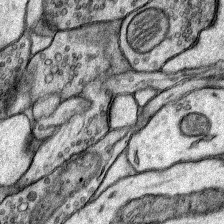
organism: Rat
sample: Hippocampus